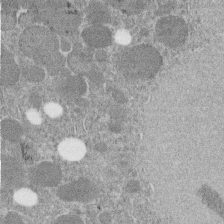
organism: C. elegans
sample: C. elegans embryo early stage